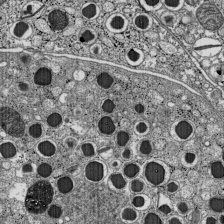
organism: C57BL Mouse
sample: Pancreatic islet